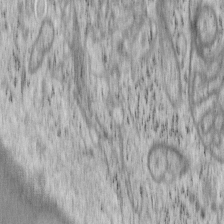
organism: Human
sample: HeLa cells